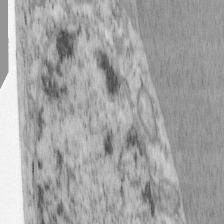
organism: Human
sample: HeLa cells